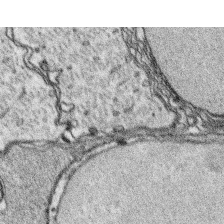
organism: Platynereis dumerilii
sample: Parapodia